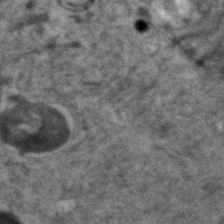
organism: Human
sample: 1205lu cells